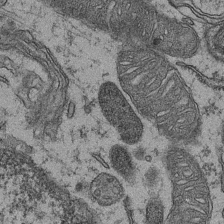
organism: Mouse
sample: CA1 Hippocampus